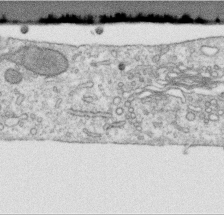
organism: Human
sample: Centriole in RPE cells